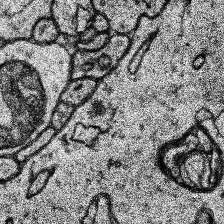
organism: Human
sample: Temporal Lobe